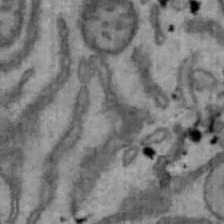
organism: Mouse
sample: Liver